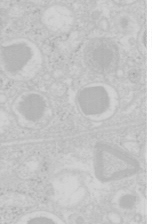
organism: Mouse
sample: Pancreas